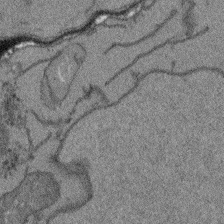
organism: Arabidopsis thaliana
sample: Root tip